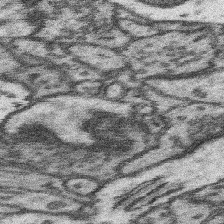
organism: Mouse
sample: Somatosensory cortex neuropil